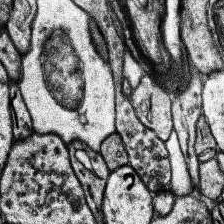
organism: Human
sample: Temporal Lobe